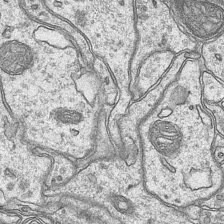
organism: Mouse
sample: CA1 Hippocampus